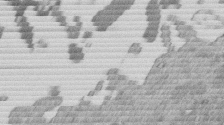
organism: Mouse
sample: Dividing mouse embryo 1 cell stage